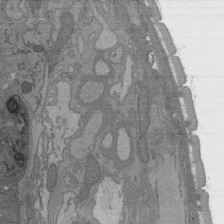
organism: C. elegans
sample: AFD neurons C. elegans